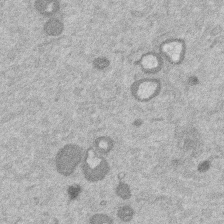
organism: Mouse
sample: Dividing mouse embryo 1 cell stage